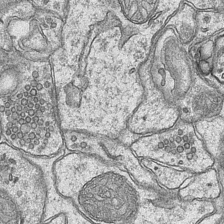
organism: Mouse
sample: CA1 Hippocampus